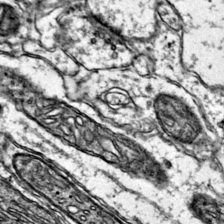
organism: Mouse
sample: Primary visual cortex